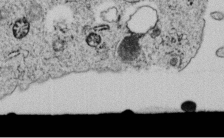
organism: C. elegans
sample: C. elegans embryo early stage